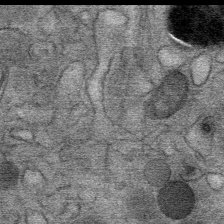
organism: Mouse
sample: Mouse Salivary gland